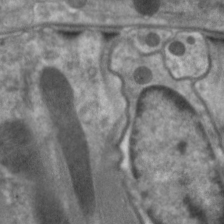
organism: C. elegans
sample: Pharynx